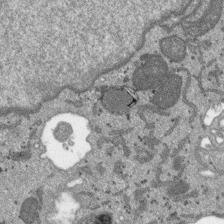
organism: Human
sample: Lung epithelial cells infected with SARS-CoV-2